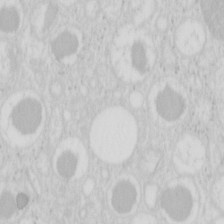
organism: Mouse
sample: Pancreas